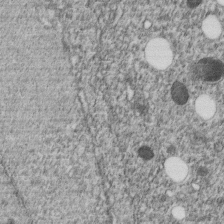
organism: C. elegans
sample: C. elegans embryo early stage